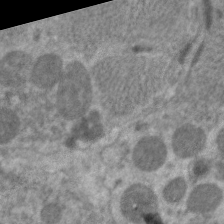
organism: C. elegans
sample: Pharynx